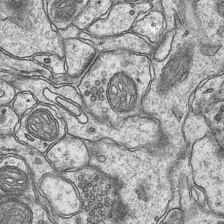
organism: Mouse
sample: CA1 Hippocampus